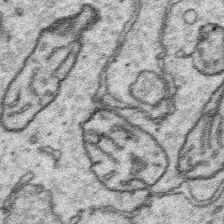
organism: Platynereis dumerilii